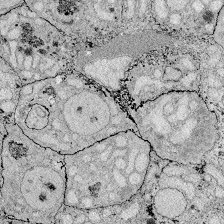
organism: Zebrafish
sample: Whole-Brain